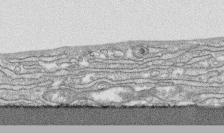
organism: Human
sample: CRL-1474